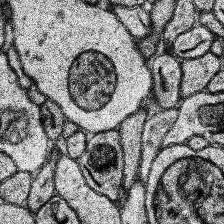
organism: Human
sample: Temporal Lobe